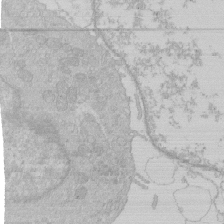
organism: Human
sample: Macrophage cells